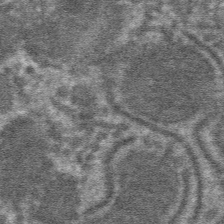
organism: Mouse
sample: Mouse hepatocytes